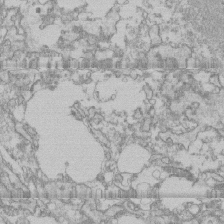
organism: Human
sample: CRL-1474